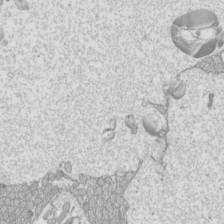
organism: Mouse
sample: Cilia; mouse epididymis